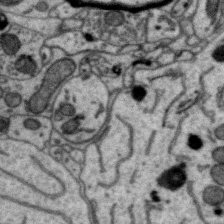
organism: Zebra finch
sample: Brain